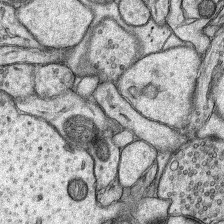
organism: Rat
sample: Hippocampus